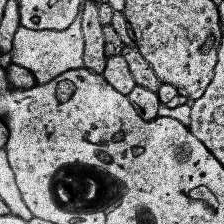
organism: Human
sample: Temporal Lobe